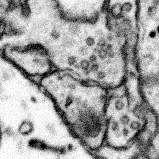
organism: Mouse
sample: Somatosensory cortex neuropil